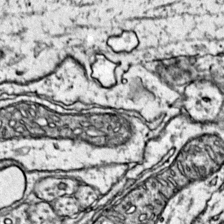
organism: Mouse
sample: Primary visual cortex